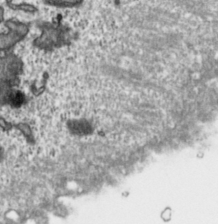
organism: Toxoplasma gondii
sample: Parasites in a vacuole inside a host cell